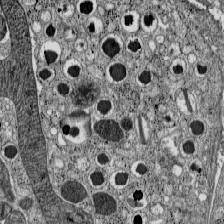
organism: C57BL Mouse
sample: Pancreatic islet